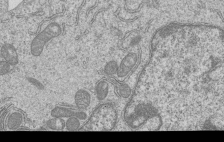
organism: Human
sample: MDA-MB-231 cells